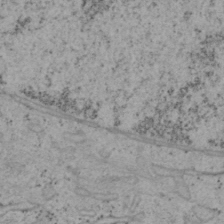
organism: Human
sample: HeLa cells